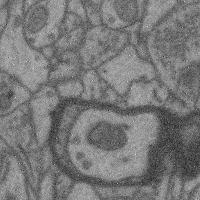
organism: Mouse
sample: Cerebral cortex